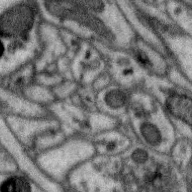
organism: Zebra finch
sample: Brain